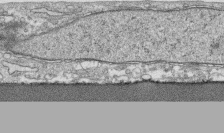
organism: Human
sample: CRL-1474